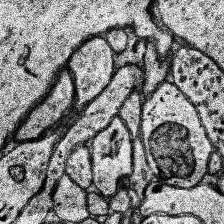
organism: Human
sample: Temporal Lobe